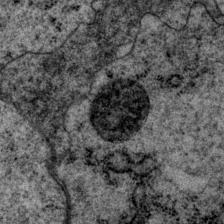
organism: P. pacificus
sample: Pharynx